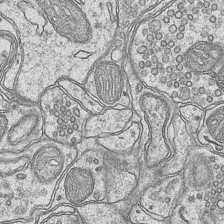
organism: Mouse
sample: CA1 Hippocampus